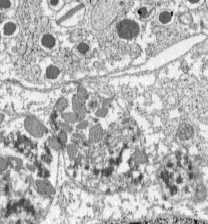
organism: C57BL Mouse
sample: Pancreatic islet